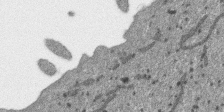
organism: Human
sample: Lung epithelial cells infected with SARS-CoV-2